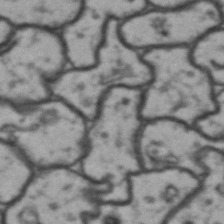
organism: Drosophila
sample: Brain